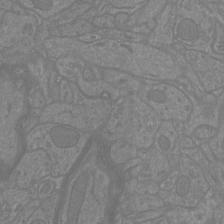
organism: Mouse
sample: Cortical neurons